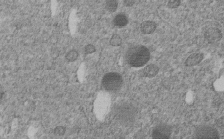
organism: C. elegans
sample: C. elegans embryo early stage